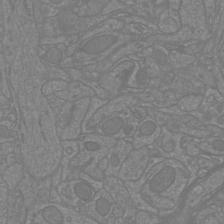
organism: Mouse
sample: Cortical neurons